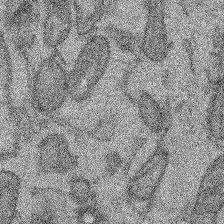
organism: Human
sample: HeLa cells